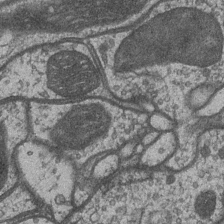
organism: Drosophila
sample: Optic medulla